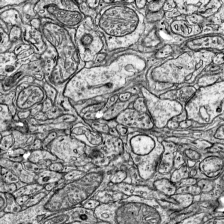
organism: Mouse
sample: Visual Cortex